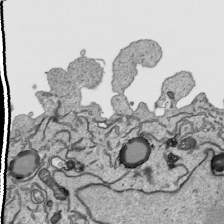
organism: Human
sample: Mitochondria in HCT116 cells